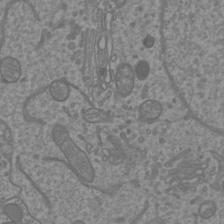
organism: Mouse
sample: Cortical neurons